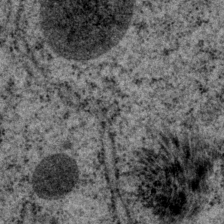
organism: P. pacificus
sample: Pharynx